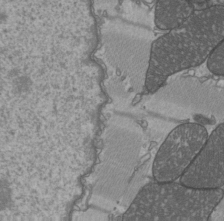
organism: C57BL Mouse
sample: Heart